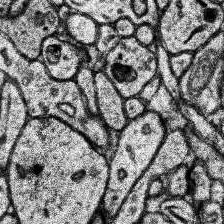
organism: Human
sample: Temporal Lobe